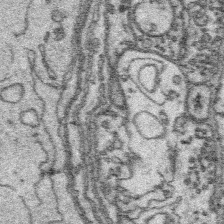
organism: Platynereis dumerilii